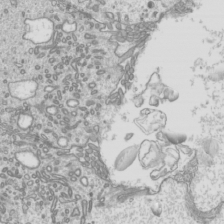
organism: Mouse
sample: Cilia; mouse epididymis